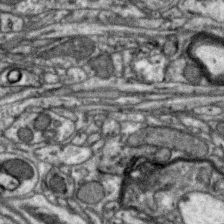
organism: Zebra finch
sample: Brain